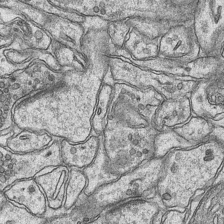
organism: Mouse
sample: CA1 Hippocampus